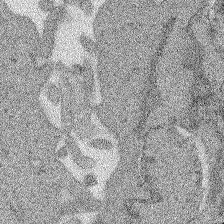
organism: Human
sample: HeLa cells